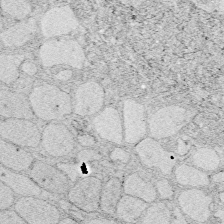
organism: Zebrafish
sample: Whole-Brain